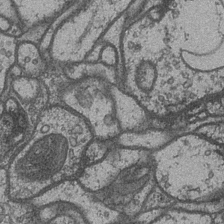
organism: Drosophila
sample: Optic medulla